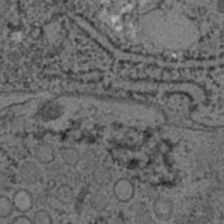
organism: C. elegans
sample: C. elegans embryo